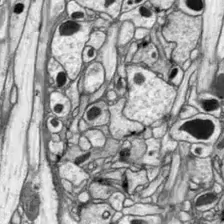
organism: Drosophila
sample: Optic lobe